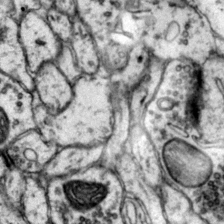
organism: Mouse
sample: Primary visual cortex